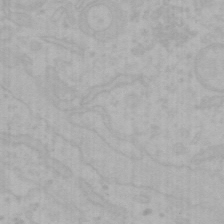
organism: Mouse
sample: Choroid plexus